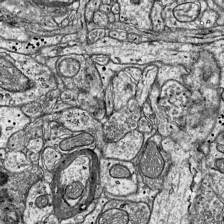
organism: Mouse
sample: Visual Cortex